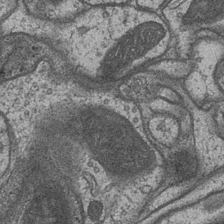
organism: Drosophila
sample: Optic medulla